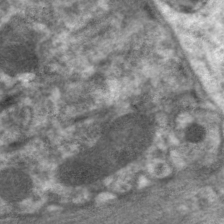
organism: C. elegans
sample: Pharynx